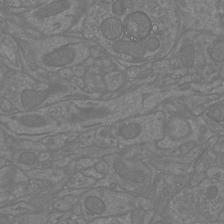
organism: Mouse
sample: Cortical neurons